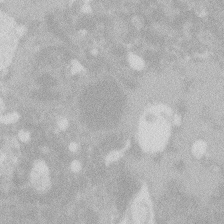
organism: Zebrafish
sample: Macrophage